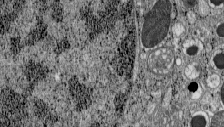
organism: C57BL Mouse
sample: Pancreatic islet